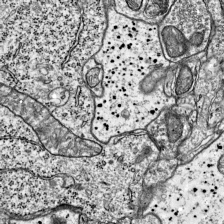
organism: Mouse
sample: Visual Cortex